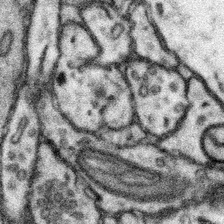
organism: Mouse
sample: Somatosensory cortex neuropil